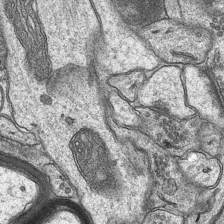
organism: Mouse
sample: CA1 Hippocampus